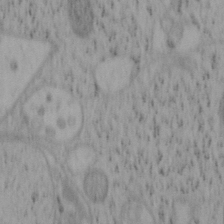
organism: Mouse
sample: OT-I killer T cells with ID8 ovarian cancer cells